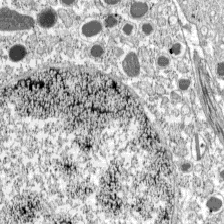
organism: C57BL Mouse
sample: Pancreatic islet